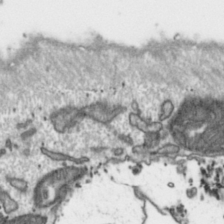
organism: Toxoplasma gondii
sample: Parasites in a vacuole inside a host cell